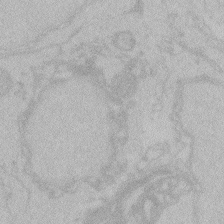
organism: Zebrafish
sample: Macrophage infected with Toxoplasma gondii